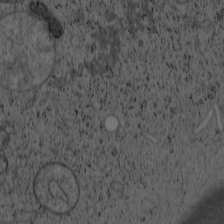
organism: African green monkey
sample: COS-7 cells